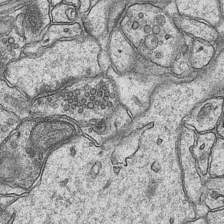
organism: Mouse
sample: CA1 Hippocampus